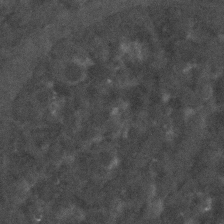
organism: C. elegans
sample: C. elegans embryo